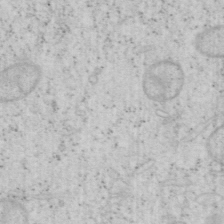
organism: Human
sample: HeLa cells